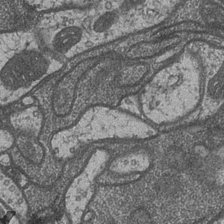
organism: Drosophila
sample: Optic medulla